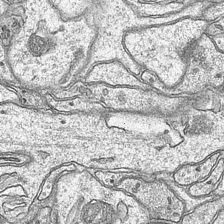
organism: Mouse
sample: CA1 Hippocampus